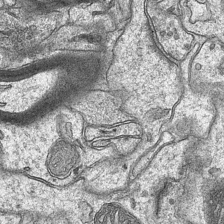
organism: Mouse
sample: CA1 Hippocampus